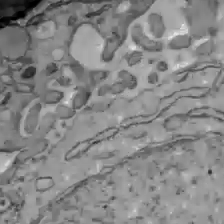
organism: C57BL Mouse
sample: Liver